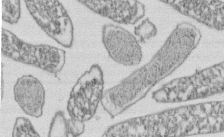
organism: E. coli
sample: Bacterial nucleoid